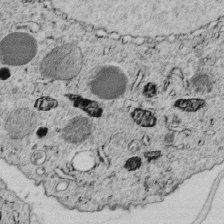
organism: C. elegans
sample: C. elegans embryo early stage